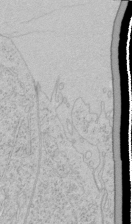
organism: Human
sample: Mitochondria in HCT116 cells